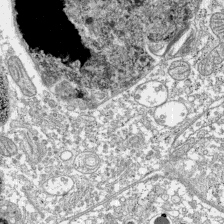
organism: C57BL Mouse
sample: Pancreatic islet